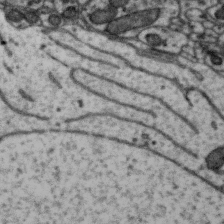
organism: Zebra finch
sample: Brain